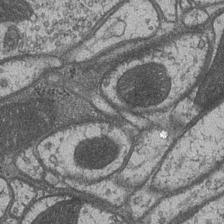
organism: Drosophila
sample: Optic medulla